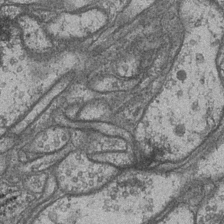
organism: Drosophila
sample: Optic medulla